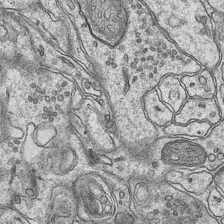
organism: Mouse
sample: CA1 Hippocampus